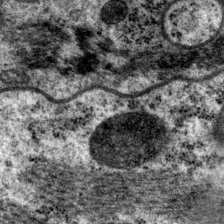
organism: P. pacificus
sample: Pharynx